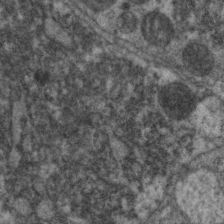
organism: C. elegans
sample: Pharynx